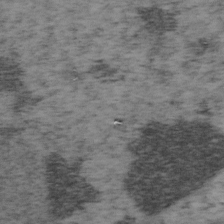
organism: Mouse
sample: OT-I killer T cells with ID8 ovarian cancer cells